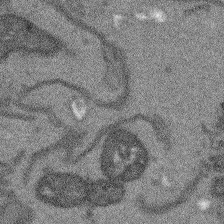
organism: Arabidopsis thaliana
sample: Root tip